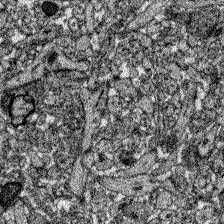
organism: Zebrafish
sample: Larval olfactory bulb